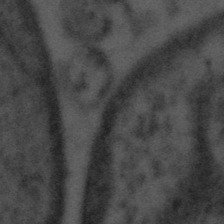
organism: Tuwongella immobilis